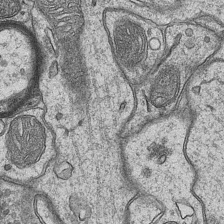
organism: Mouse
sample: CA1 Hippocampus